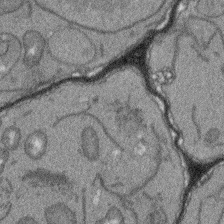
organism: Arabidopsis thaliana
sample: Root tip